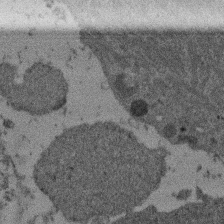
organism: Mouse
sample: Dividing mouse embryo 1 cell stage